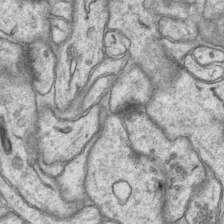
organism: Mouse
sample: CA1 Hippocampus